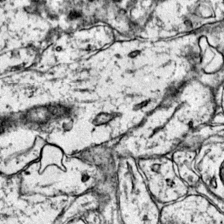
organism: Mouse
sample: Primary visual cortex